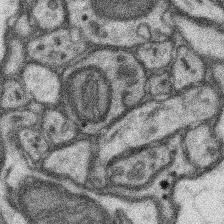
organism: Mouse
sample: Somatosensory cortex neuropil